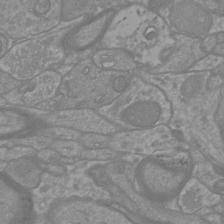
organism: Mouse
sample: Cortical neurons